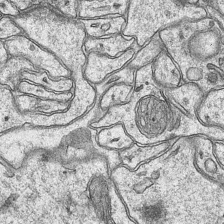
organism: Mouse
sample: CA1 Hippocampus